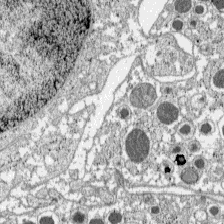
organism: C57BL Mouse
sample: Pancreatic islet